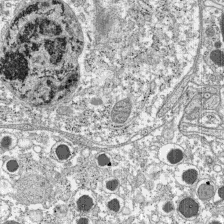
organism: C57BL Mouse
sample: Pancreatic islet